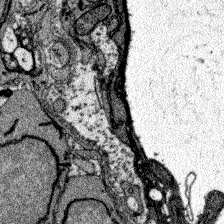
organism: Zebrafish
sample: Larval olfactory bulb